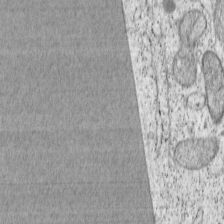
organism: African green monkey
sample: COS-7 cells